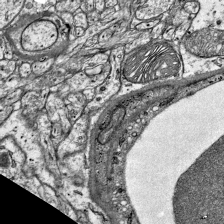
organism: Mouse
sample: Visual Cortex